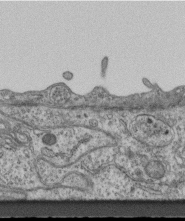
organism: Mouse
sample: Centriole in ependymal cells